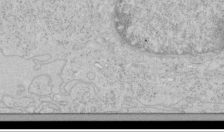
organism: Human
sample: Mitochondria in HCT116 cells